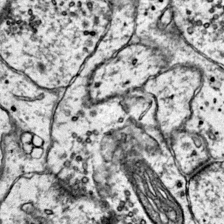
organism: Mouse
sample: Primary visual cortex